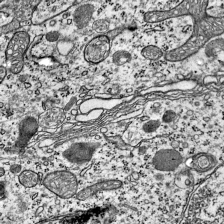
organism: Mouse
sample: Visual Cortex